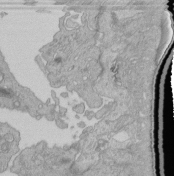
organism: Human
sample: Retinal organoid Rod and Cone cells